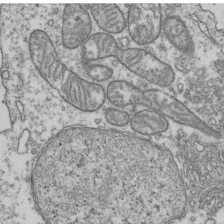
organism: Human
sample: Activated Jurkat CD4+ T cells